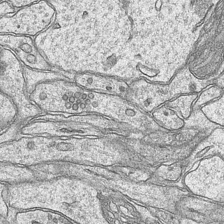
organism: Mouse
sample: CA1 Hippocampus